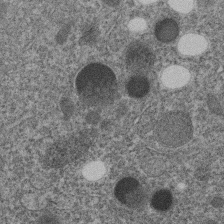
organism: C. elegans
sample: C. elegans embryo early stage